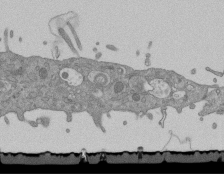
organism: Mouse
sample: ED-1 cell nuclei; centrioles